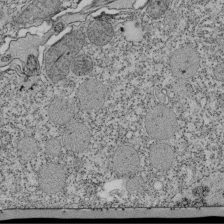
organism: Tetrahymena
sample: Cilia in tetrahymena